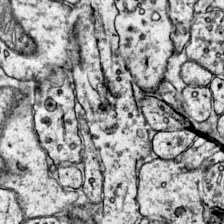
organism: Mouse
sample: Primary visual cortex